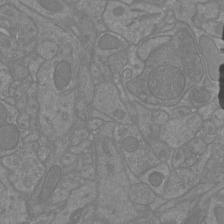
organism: Mouse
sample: Cortical neurons